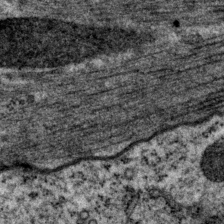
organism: P. pacificus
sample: Pharynx